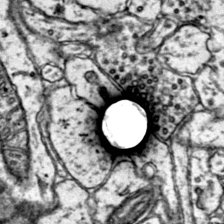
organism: Mouse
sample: Primary visual cortex